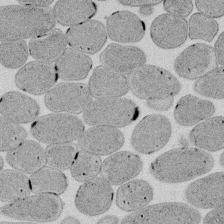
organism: E. coli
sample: Bacterial nucleoid